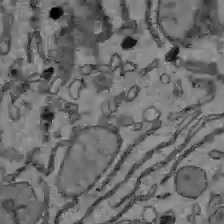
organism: C57BL Mouse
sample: Liver